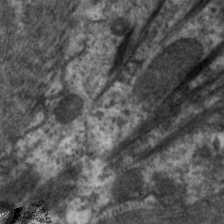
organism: C. elegans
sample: Pharynx